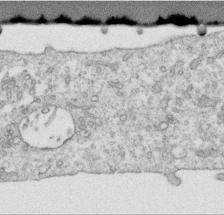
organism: Human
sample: Centriole in RPE cells